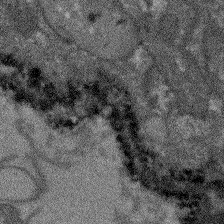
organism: Arabidopsis thaliana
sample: Root tip